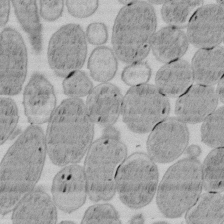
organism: E. coli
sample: Bacterial nucleoid